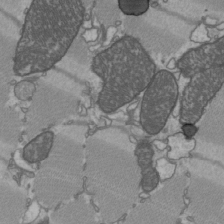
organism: C57BL Mouse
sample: Heart